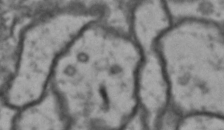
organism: Drosophila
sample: Brain